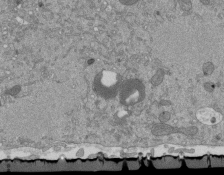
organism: Mouse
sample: ED-1 cell nuclei; centrioles